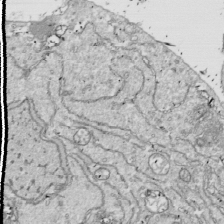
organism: Drosophila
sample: Cell division; meiosis; drosophila spermatocytes